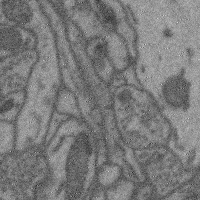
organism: Mouse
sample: Cerebral cortex